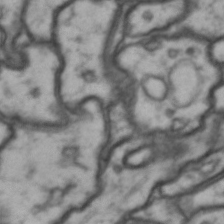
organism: Drosophila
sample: Brain